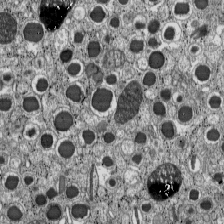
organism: C57BL Mouse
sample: Pancreatic islet